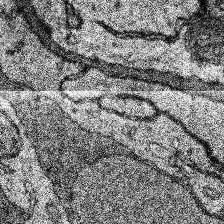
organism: Human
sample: Temporal Lobe